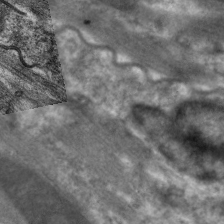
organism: C. elegans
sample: Pharynx